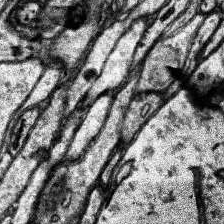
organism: Human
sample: Temporal Lobe